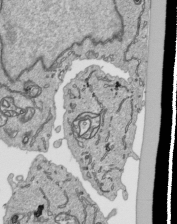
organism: Human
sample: Mitochondria in HCT116 cells